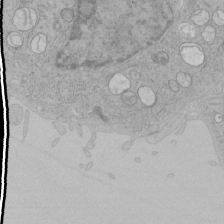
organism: Human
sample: Mitochondria in HCT116 cells